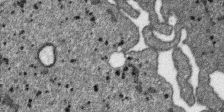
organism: Human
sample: Lung epithelial cells infected with SARS-CoV-2